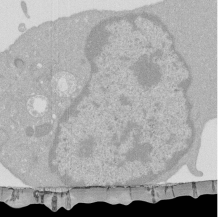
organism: Mouse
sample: Activated Pmel transgenic CD8+ T Cells